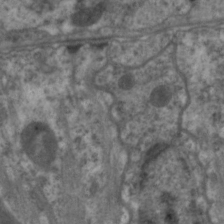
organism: C. elegans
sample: Pharynx